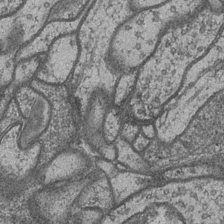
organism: Drosophila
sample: Optic medulla